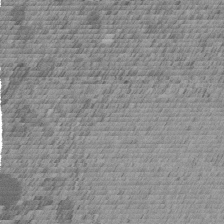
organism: C. elegans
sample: C. elegans embryo early stage